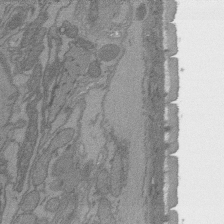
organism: C. elegans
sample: AFD neurons C. elegans